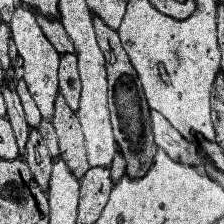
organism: Human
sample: Temporal Lobe